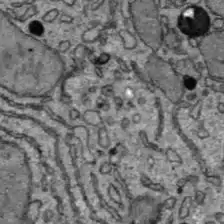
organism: C57BL Mouse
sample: Liver